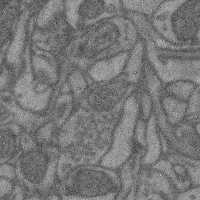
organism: Mouse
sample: Cerebral cortex